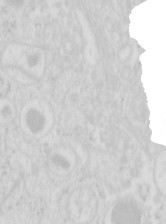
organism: Mouse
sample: Pancreas